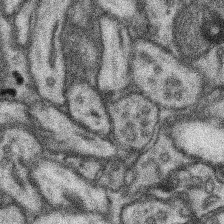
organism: Mouse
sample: Somatosensory cortex neuropil